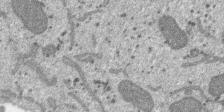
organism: Human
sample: Lung epithelial cells infected with SARS-CoV-2